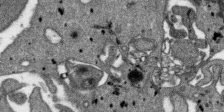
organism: Human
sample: Lung epithelial cells, uninfected (mock) control